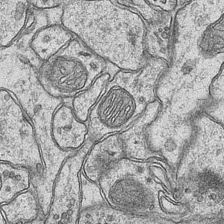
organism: Mouse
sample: CA1 Hippocampus